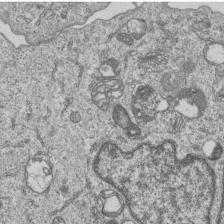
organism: Human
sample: MDA-MB-231 cells